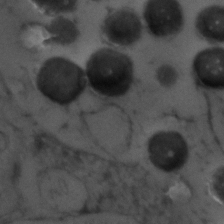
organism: Zebrafish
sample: Zebrafish embryo